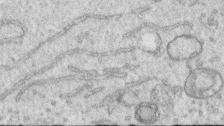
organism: Human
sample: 1205lu cells